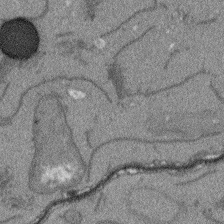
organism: Arabidopsis thaliana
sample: Root tip